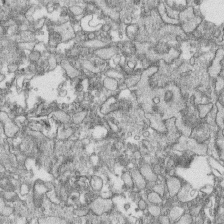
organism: Human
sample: CRL-1474